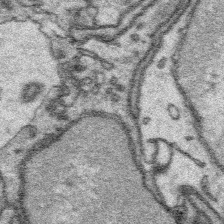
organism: Platynereis dumerilii